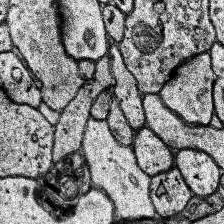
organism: Human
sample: Temporal Lobe